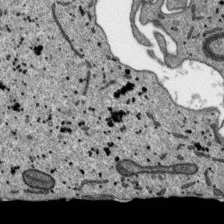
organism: Human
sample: Lung epithelial cells, uninfected (mock) control